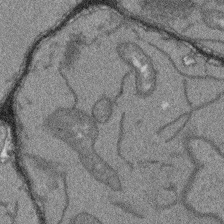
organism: Arabidopsis thaliana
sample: Root tip